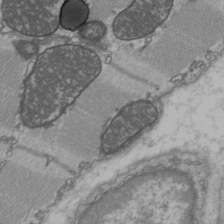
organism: C57BL Mouse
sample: Heart